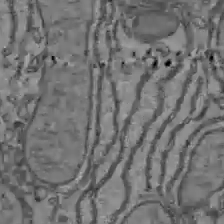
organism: C57BL Mouse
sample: Liver